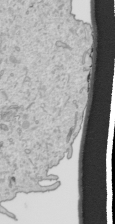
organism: Human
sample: Mitochondria in HCT116 cells